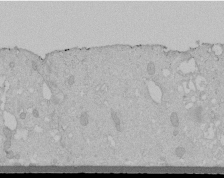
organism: Human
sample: Melanocyte Keratinocyte synapse skin construct